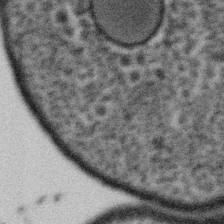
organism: Gemmata obscuriglobus